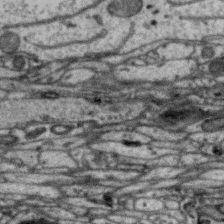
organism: Zebra finch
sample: Brain